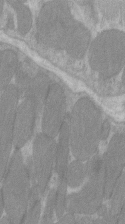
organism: C57BL Mouse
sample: Tibialis anterior muscle cell